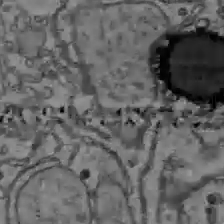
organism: C57BL Mouse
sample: Liver